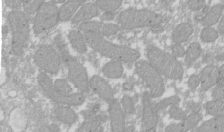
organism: Xenopus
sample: Cilia; centrioles in frog embryo cells